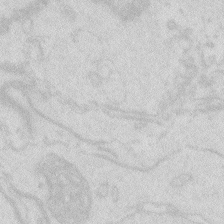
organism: Zebrafish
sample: Macrophage